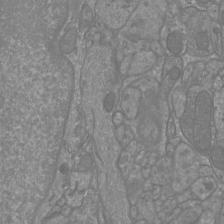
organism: Mouse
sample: Cortical neurons